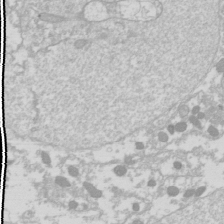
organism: Drosophila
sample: Cell division; meiosis; drosophila spermatocytes